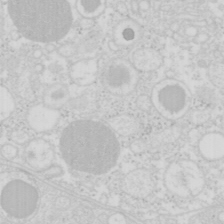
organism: Mouse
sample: Pancreas